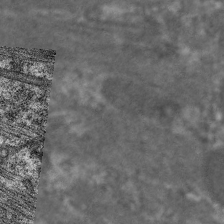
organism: C. elegans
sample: Pharynx